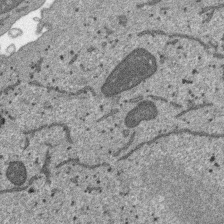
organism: Human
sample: Lung epithelial cells infected with SARS-CoV-2